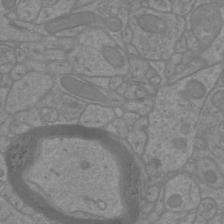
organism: Mouse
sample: Cortical neurons